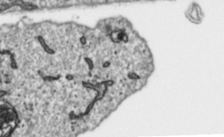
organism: Toxoplasma gondii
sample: Parasites in a vacuole inside a host cell